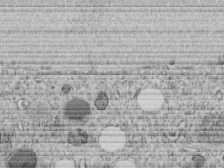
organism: C. elegans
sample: C. elegans embryo early stage